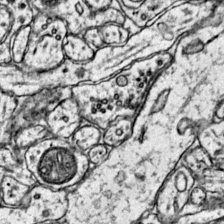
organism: Mouse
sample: Primary visual cortex